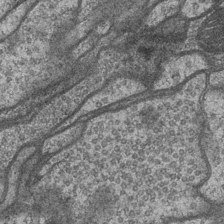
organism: Drosophila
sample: Optic medulla